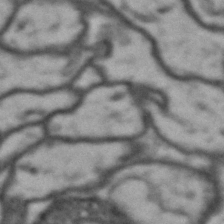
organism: Drosophila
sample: Brain